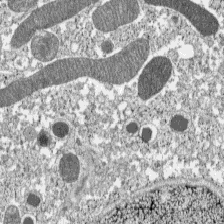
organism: C57BL Mouse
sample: Pancreatic islet